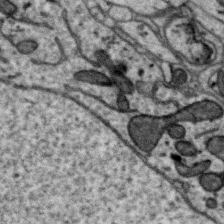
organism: Zebra finch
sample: Brain